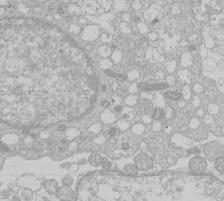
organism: Human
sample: Macrophage cells